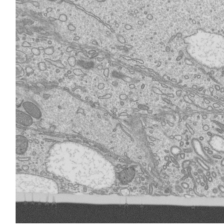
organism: Mouse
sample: Cilia; mouse epididymis